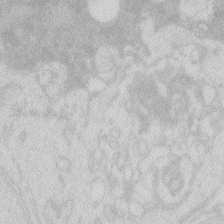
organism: Zebrafish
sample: Macrophage